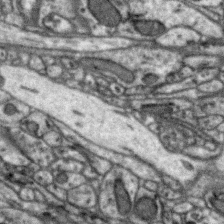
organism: Zebra finch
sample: Brain